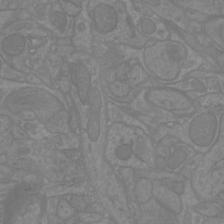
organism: Mouse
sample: Cortical neurons